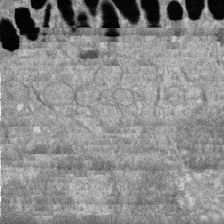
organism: Zebrafish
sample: Cilia; retinal pigment epithelium